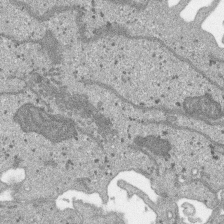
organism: Human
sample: Lung epithelial cells infected with SARS-CoV-2